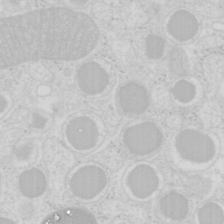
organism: Mouse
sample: Pancreas